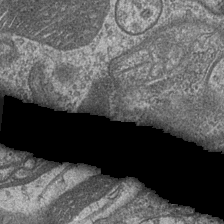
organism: Drosophila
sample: Optic medulla